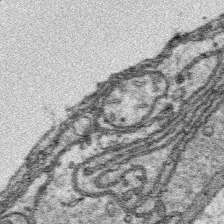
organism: Platynereis dumerilii